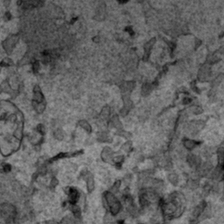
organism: Human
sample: Mitochondria in HCT116 cells